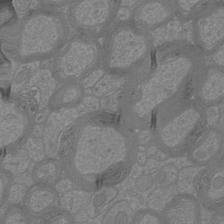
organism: Mouse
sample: Cortical neurons